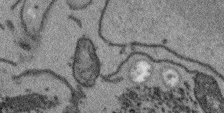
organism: Arabidopsis thaliana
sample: Root tip